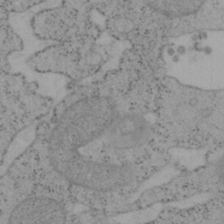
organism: Mouse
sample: OT-I killer T cells with ID8 ovarian cancer cells